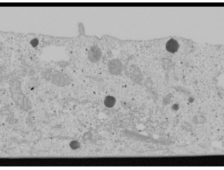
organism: Human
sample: Mitochondria in U2OS cells